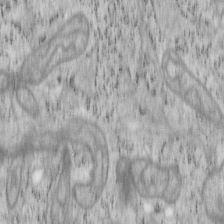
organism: Human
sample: HeLa cells